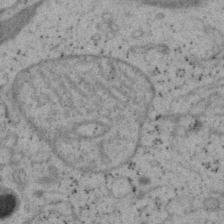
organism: Human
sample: HeLa cells